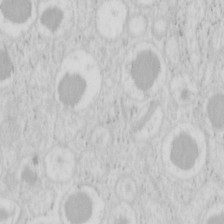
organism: Mouse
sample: Pancreas